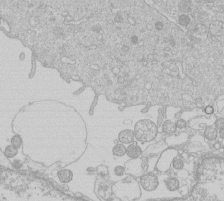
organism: Human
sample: Macrophage cells